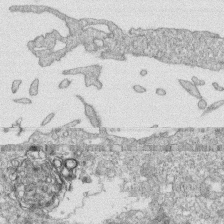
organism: Human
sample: HeLa cell HIV synapse